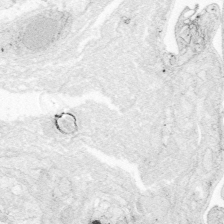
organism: Zebrafish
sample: Whole-Brain